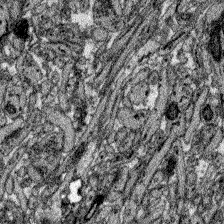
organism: Zebrafish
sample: Larval olfactory bulb